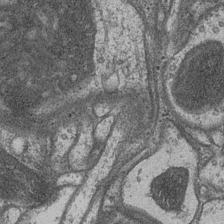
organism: Drosophila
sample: Optic medulla